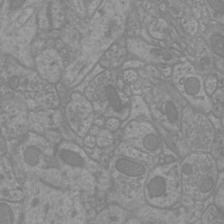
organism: Mouse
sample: Cortical neurons